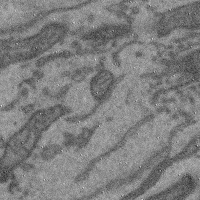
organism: Mouse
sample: Cerebral cortex